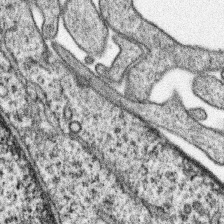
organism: Human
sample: HeLa cells